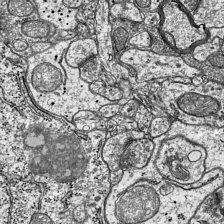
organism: Mouse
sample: Visual Cortex